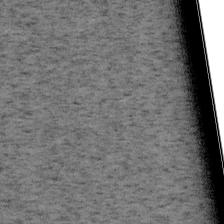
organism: Mouse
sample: OT-I killer T cells with ID8 ovarian cancer cells